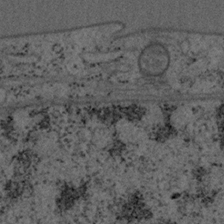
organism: Human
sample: HeLa cells